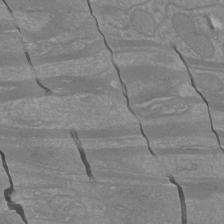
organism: Mouse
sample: Cortical neurons